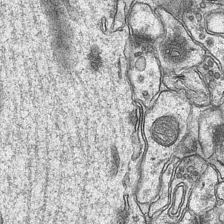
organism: Mouse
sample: CA1 Hippocampus